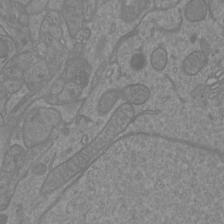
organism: Mouse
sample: Cortical neurons